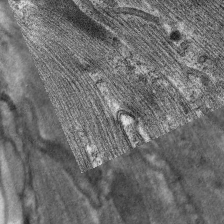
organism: C. elegans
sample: Pharynx